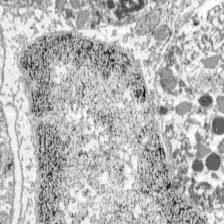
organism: C57BL Mouse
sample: Pancreatic islet